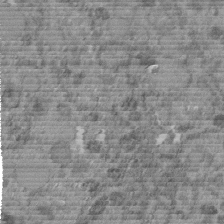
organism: C. elegans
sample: C. elegans embryo early stage